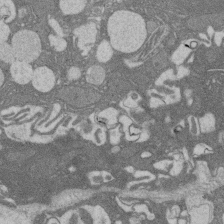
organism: Rat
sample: Salivary granule